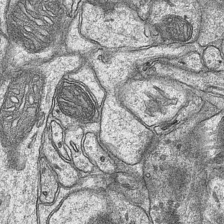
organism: Mouse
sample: CA1 Hippocampus